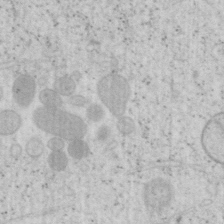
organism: Human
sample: HeLa cells